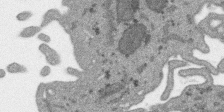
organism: Human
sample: Lung epithelial cells infected with SARS-CoV-2